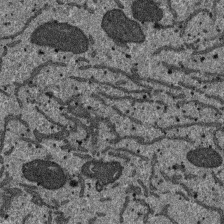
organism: Human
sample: Lung epithelial cells infected with SARS-CoV-2